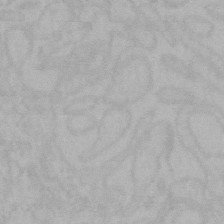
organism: Mouse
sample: Choroid plexus